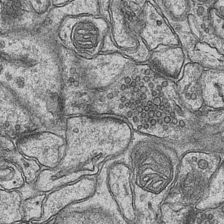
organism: Mouse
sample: CA1 Hippocampus